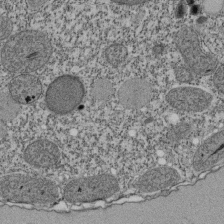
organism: Tetrahymena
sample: Cilia in tetrahymena